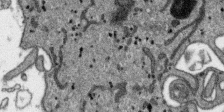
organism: Human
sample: Lung epithelial cells, uninfected (mock) control